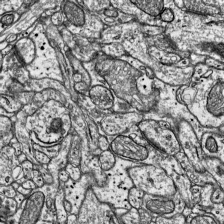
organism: Mouse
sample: Visual Cortex